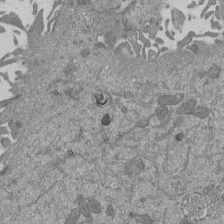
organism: Mouse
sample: ED-1 cell nuclei; centrioles